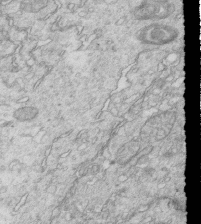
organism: Mouse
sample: Multiciliated cells